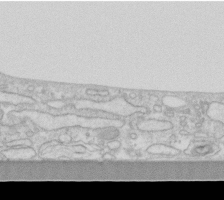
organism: Human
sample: Fibroblast cells